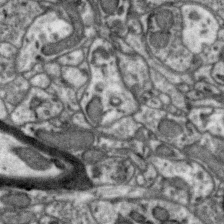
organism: Zebra finch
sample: Brain